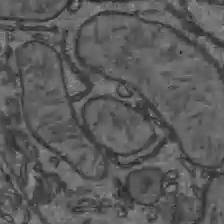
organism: C57BL Mouse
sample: Liver